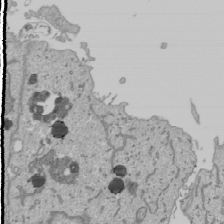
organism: Human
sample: Mitochondria in U2OS cells